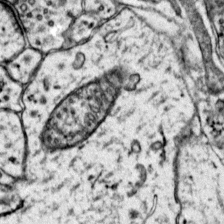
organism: Mouse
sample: Primary visual cortex